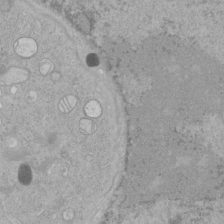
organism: Human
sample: Mitochondria in HCT116 cells